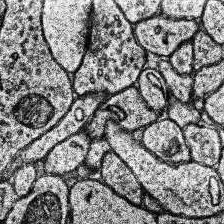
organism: Human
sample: Temporal Lobe